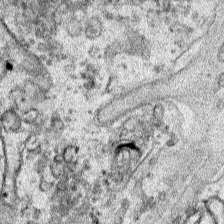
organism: Human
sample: Mitochondria in HCT116 cells